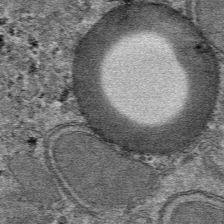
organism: Mouse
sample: Mouse hepatocytes